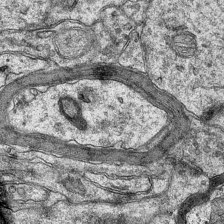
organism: Mouse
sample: CA1 Hippocampus